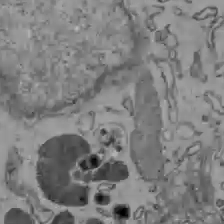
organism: C57BL Mouse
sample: Liver